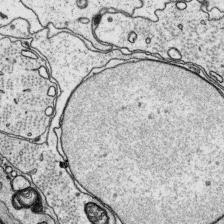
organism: Platynereis dumerilii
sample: Parapodia